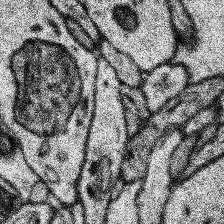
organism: Human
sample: Temporal Lobe